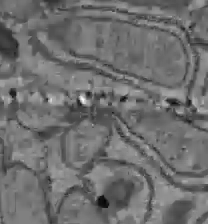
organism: C57BL Mouse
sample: Liver